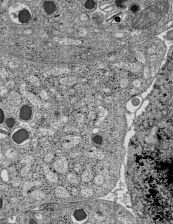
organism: C57BL Mouse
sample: Pancreatic islet